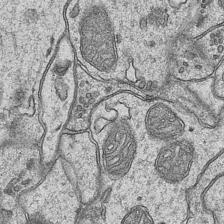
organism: Mouse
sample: CA1 Hippocampus